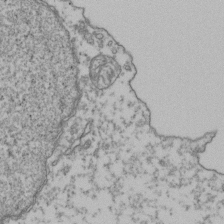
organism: Human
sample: Activated Jurkat CD4+ T cells